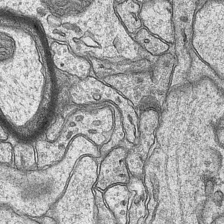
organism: Mouse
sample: CA1 Hippocampus